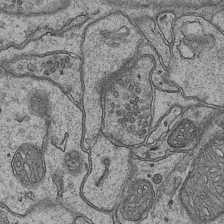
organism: Mouse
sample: CA1 Hippocampus